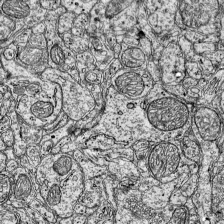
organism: Mouse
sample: Visual Cortex